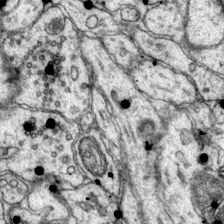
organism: Mouse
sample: Primary visual cortex